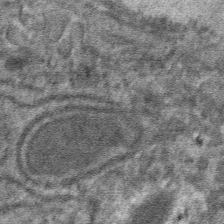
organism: Mouse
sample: Mouse hepatocytes